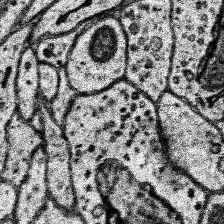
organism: Human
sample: Temporal Lobe